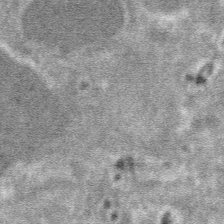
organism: Mouse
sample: Mouse hepatocytes